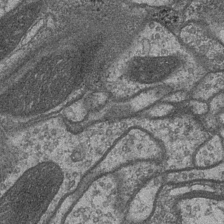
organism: Drosophila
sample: Optic medulla